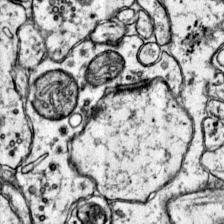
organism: Mouse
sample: Primary visual cortex